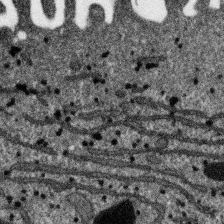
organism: Human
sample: Lung epithelial cells infected with SARS-CoV-2